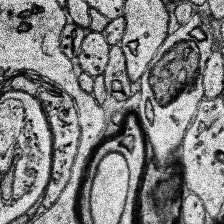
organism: Human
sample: Temporal Lobe